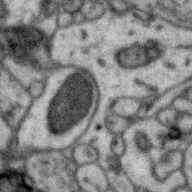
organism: Zebra finch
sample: Brain